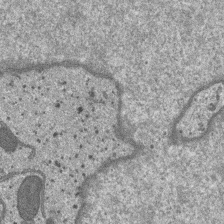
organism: Human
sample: Lung epithelial cells infected with SARS-CoV-2